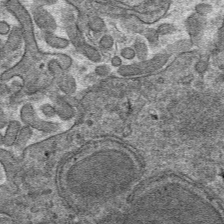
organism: Mouse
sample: Mouse hepatocytes